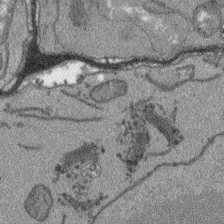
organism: Arabidopsis thaliana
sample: Root tip